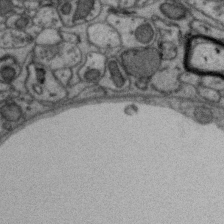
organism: Zebra finch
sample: Brain